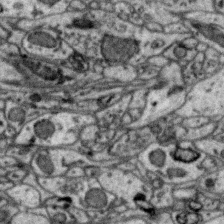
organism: Zebra finch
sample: Brain